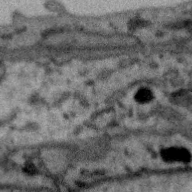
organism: Zebra finch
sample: Brain